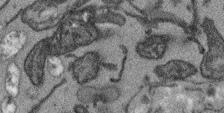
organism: Arabidopsis thaliana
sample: Root tip